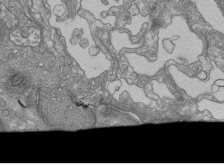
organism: Human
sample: Retinal organoid Rod and Cone cells